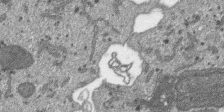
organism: Human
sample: Lung epithelial cells infected with SARS-CoV-2